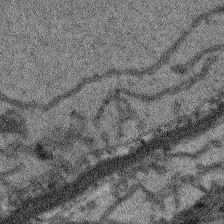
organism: Arabidopsis thaliana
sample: Root tip